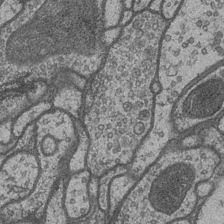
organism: Drosophila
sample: Optic medulla